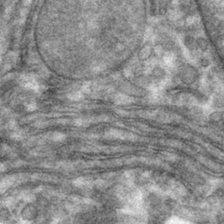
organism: Mouse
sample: Mouse hepatocytes